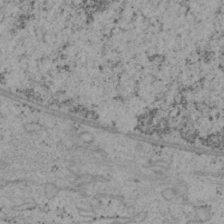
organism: Human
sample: HeLa cells